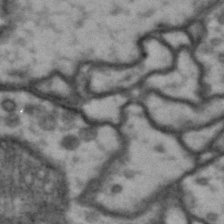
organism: Drosophila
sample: Brain